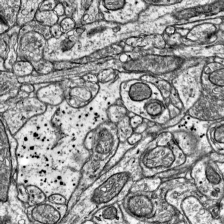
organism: Mouse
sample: Visual Cortex